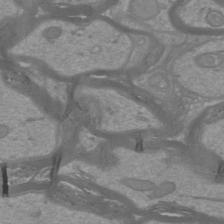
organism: Mouse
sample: Cortical neurons